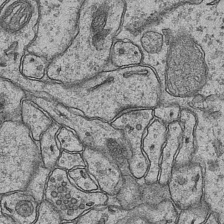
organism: Mouse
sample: CA1 Hippocampus